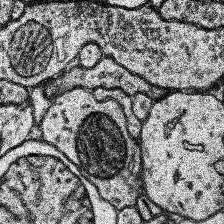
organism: Human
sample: Temporal Lobe